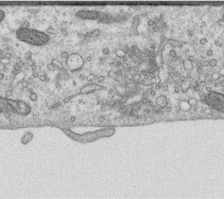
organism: Human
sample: Centriole in RPE cells